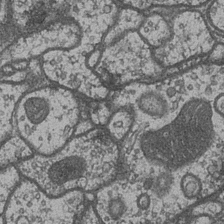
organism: Drosophila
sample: Optic medulla